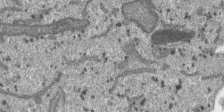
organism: Human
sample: Lung epithelial cells infected with SARS-CoV-2